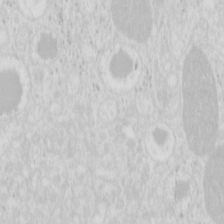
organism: Mouse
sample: Pancreas